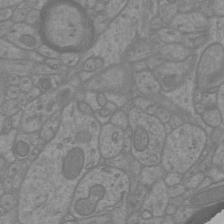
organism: Mouse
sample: Cortical neurons